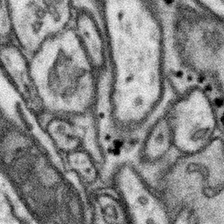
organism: Mouse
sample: Somatosensory cortex neuropil